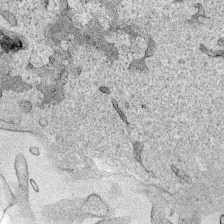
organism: Human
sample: Mitochondria in HCT116 cells